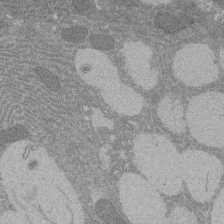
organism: Rat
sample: Salivary granule